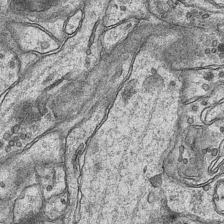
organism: Mouse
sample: CA1 Hippocampus